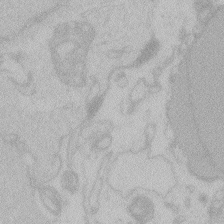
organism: Zebrafish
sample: Macrophage infected with Toxoplasma gondii